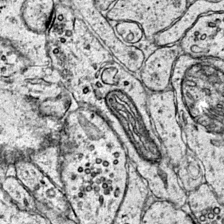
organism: Mouse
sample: Primary visual cortex